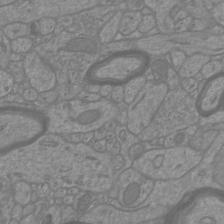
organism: Mouse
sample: Cortical neurons